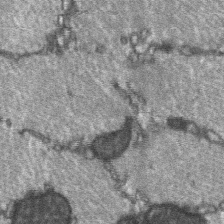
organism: C57BL Mouse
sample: Soleus